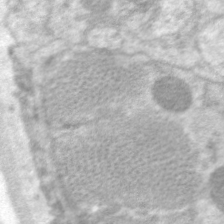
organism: C. elegans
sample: Pharynx